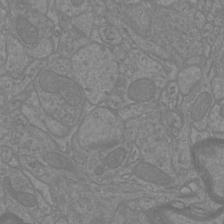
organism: Mouse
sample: Cortical neurons